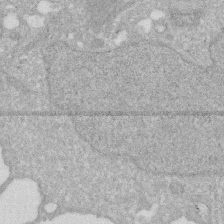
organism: Human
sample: HIV infected U937 cells